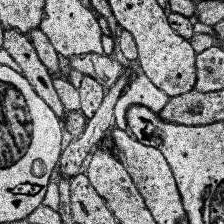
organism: Human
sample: Temporal Lobe